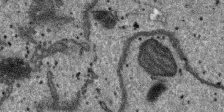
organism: Human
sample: Lung epithelial cells, uninfected (mock) control